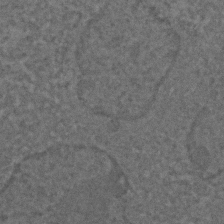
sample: Trachea